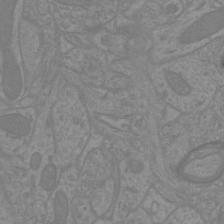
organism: Mouse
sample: Cortical neurons